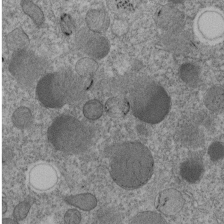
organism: C. elegans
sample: C. elegans embryo early stage